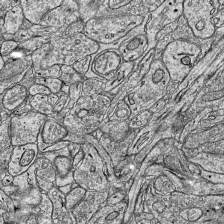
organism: Mouse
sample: Visual Cortex